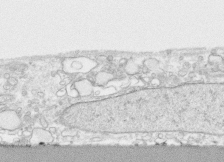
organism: Human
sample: CRL-1474